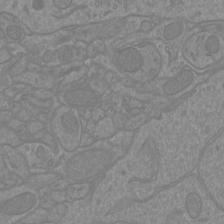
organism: Mouse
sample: Cortical neurons